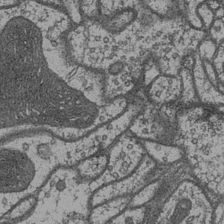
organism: Drosophila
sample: Optic medulla